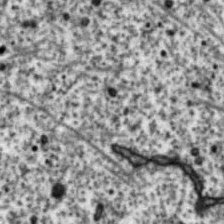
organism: Human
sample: HeLa cells